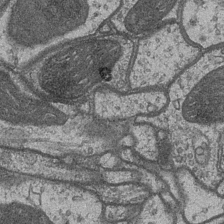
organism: Drosophila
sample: Optic medulla